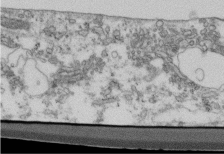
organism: Mouse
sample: Cilia; retinal pigment epithelium